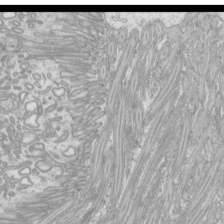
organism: Mouse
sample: Cilia; mouse epididymis